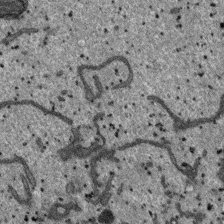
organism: Human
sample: Lung epithelial cells, uninfected (mock) control